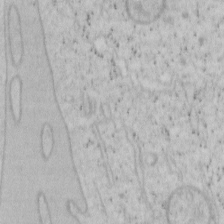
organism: Human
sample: HeLa cells